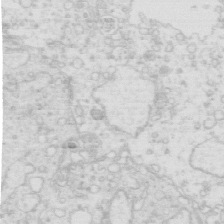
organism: Mouse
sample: Multiciliated cells